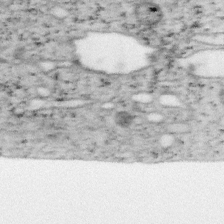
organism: Mouse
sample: OT-I killer T cells with ID8 ovarian cancer cells